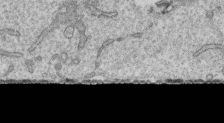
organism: Human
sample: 1205lu cells